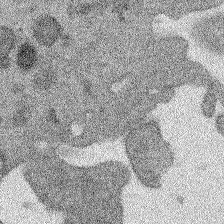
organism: Human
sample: HeLa cells